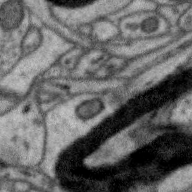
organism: Zebra finch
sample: Brain